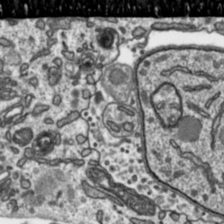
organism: Toxoplasma gondii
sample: Parasites in a vacuole inside a host cell